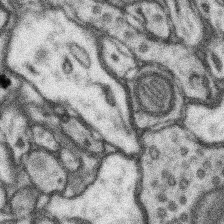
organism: Mouse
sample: Somatosensory cortex neuropil